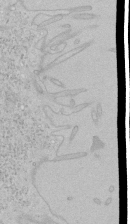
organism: Human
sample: Mitochondria in HCT116 cells